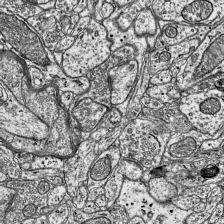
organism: Mouse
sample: Visual Cortex